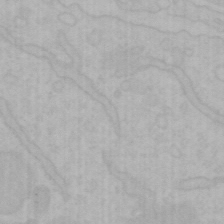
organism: Mouse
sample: Choroid plexus